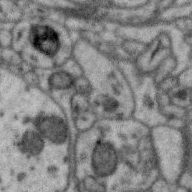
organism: Zebra finch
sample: Brain